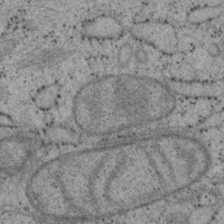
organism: Human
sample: HeLa cells